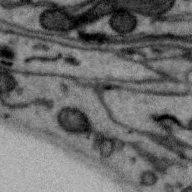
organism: Zebra finch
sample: Brain